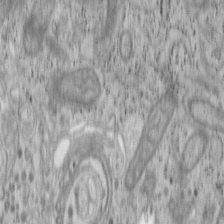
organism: Human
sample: HeLa cells